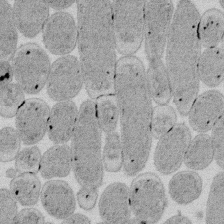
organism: E. coli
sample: Bacterial nucleoid